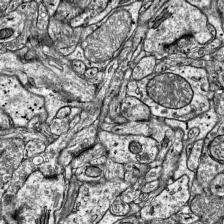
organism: Mouse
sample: Visual Cortex